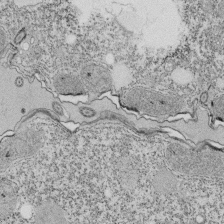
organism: Tetrahymena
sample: Cilia in tetrahymena